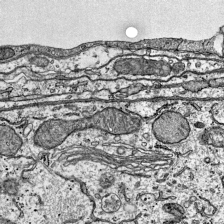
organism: Mouse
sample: Visual Cortex